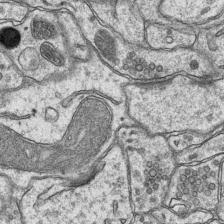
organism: Mouse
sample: CA1 Hippocampus